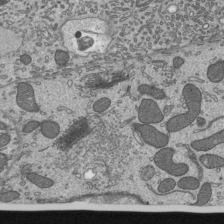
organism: Mouse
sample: Mouse epididymis efferent ductule cilia